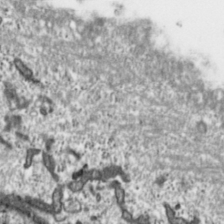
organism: Toxoplasma gondii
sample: Parasites in a vacuole inside a host cell